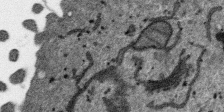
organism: Human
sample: Lung epithelial cells, uninfected (mock) control